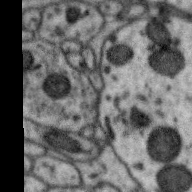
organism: Zebra finch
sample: Brain